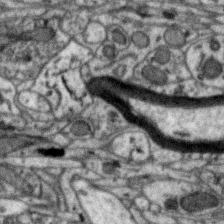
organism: Zebra finch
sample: Brain